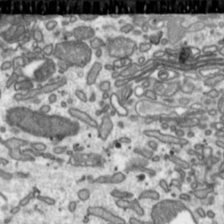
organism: Toxoplasma gondii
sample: Parasites in a vacuole inside a host cell